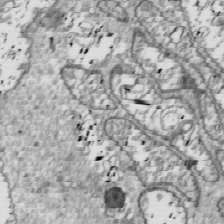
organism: Drosophila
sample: Cell division; meiosis; drosophila spermatocytes